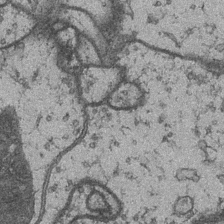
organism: Drosophila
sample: Optic medulla